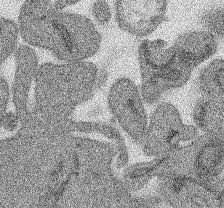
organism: Human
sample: HeLa cells